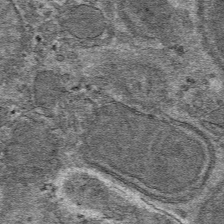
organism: Mouse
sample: Mouse hepatocytes